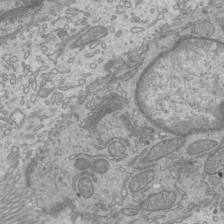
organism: Mouse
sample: Cilia; mouse epididymis